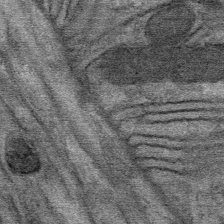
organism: Mouse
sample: Mouse Salivary gland